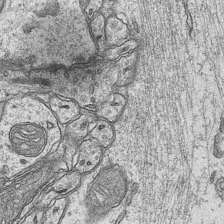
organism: Mouse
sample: CA1 Hippocampus